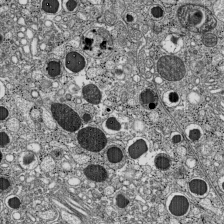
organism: C57BL Mouse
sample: Pancreatic islet